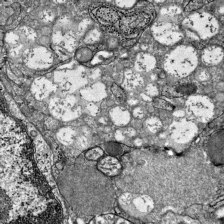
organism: Mouse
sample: Visual Cortex